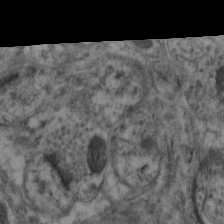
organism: Mouse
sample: Neocortex